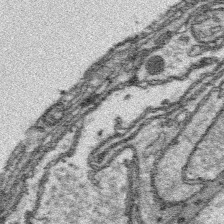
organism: Platynereis dumerilii